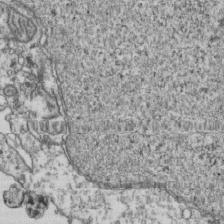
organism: Human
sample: Activated Jurkat CD4+ T cells